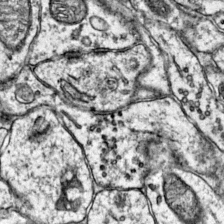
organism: Mouse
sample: Primary visual cortex